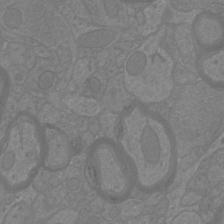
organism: Mouse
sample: Cortical neurons